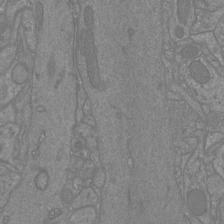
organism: Mouse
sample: Cortical neurons